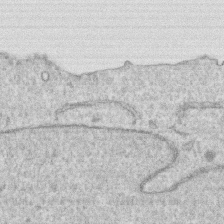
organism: Human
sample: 1205lu cells